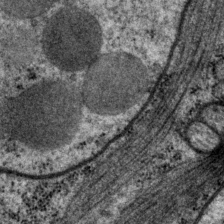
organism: P. pacificus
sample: Pharynx